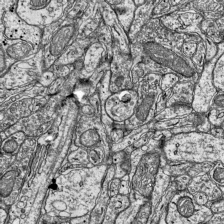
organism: Mouse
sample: Visual Cortex